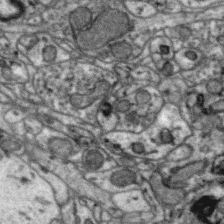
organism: Zebra finch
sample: Brain